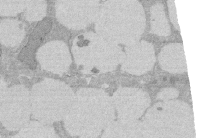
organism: Rat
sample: Salivary granule